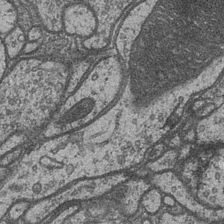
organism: Drosophila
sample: Optic medulla